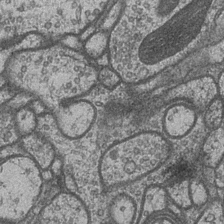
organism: Drosophila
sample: Optic medulla